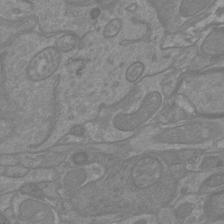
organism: Mouse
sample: Cortical neurons